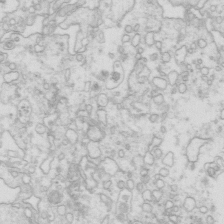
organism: Mouse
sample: Multiciliated cells